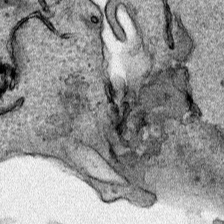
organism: Human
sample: Mitochondria in HCT116 cells